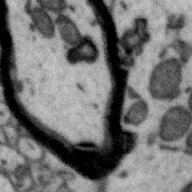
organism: Zebra finch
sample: Brain